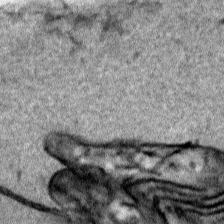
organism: Human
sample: Mitochondria in HCT116 cells